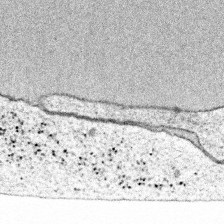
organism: Human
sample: HeLa cells